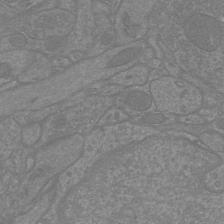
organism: Mouse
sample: Cortical neurons